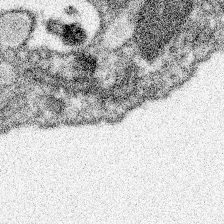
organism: Spongilla lacustris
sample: Neuroid cell